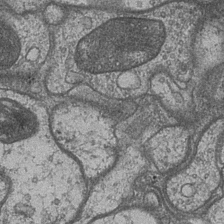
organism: Drosophila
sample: Optic medulla